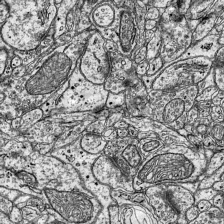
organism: Mouse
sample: Visual Cortex